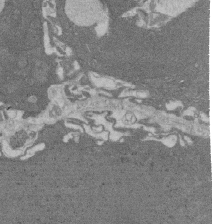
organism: Rat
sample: Salivary granule